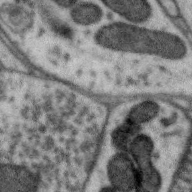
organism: Zebra finch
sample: Brain